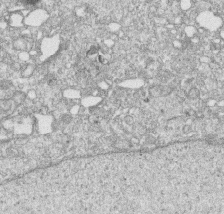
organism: Human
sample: HeLa cell HIV synapse